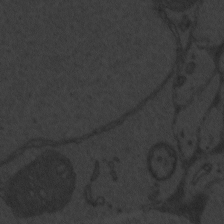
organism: Zebrafish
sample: Macrophage infected with Toxoplasma gondii